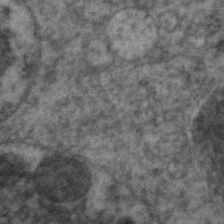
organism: C. elegans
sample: Pharynx